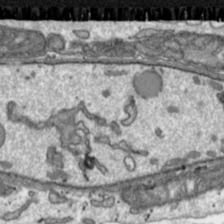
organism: Toxoplasma gondii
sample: Parasites in a vacuole inside a host cell